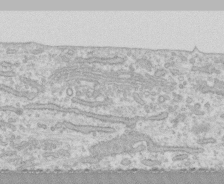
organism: Human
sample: CRL-1474